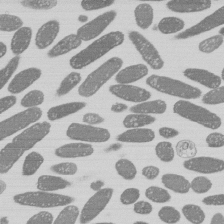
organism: E. coli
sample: Bacterial nucleoid